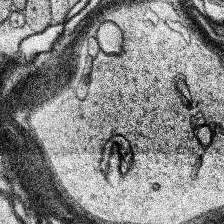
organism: Human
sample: Temporal Lobe